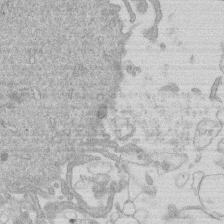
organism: Human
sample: Macrophage cells